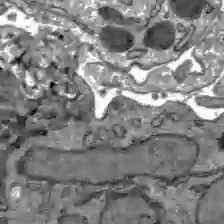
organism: C57BL Mouse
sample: Liver